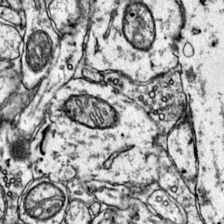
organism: Mouse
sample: Primary visual cortex